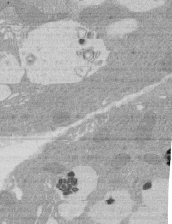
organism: Rat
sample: Salivary granule